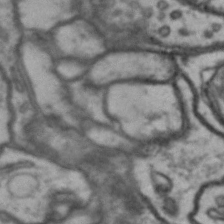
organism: Drosophila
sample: Brain